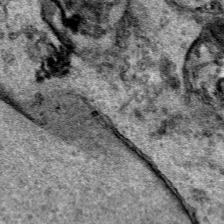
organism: Human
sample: Mitochondria in HCT116 cells